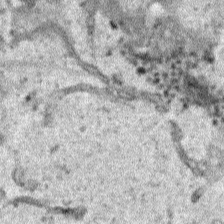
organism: Human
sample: Mitochondria in HCT116 cells